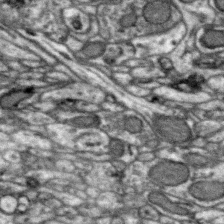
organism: Zebra finch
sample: Brain